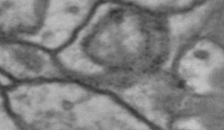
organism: Drosophila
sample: Brain